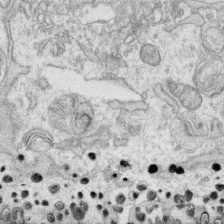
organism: Human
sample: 1205lu cells